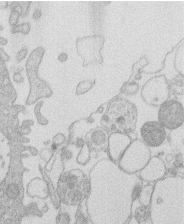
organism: Human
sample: Macrophage cells